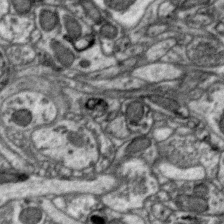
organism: Zebra finch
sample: Brain